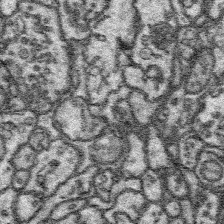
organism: Platynereis dumerilii